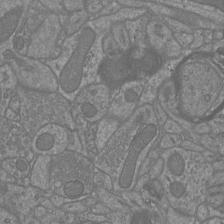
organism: Mouse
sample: Cortical neurons